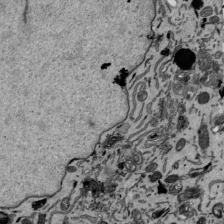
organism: Mouse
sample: ED-1 cell nuclei; centrioles